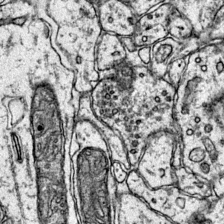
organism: Mouse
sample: Primary visual cortex